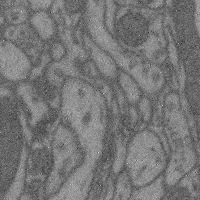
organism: Mouse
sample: Cerebral cortex